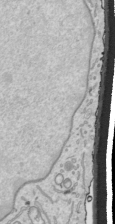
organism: Human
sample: Mitochondria in HCT116 cells